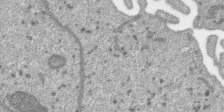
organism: Human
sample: Lung epithelial cells infected with SARS-CoV-2